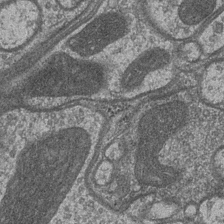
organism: Drosophila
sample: Optic medulla